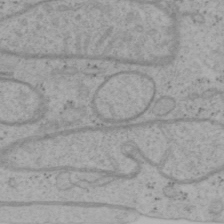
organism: Human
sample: HeLa cells